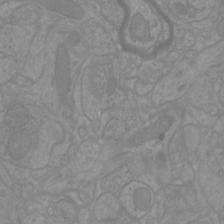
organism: Mouse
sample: Cortical neurons